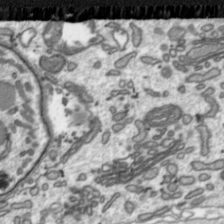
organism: Toxoplasma gondii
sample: Parasites in a vacuole inside a host cell